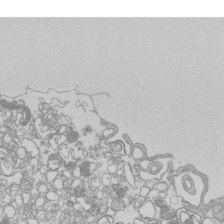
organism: Mouse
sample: Macrophages